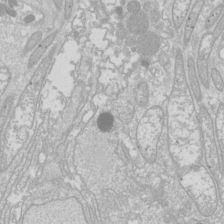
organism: Drosophila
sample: Cell division; meiosis; drosophila spermatocytes